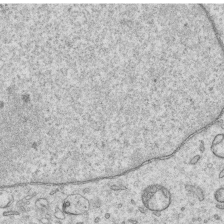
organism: Human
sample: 1205lu cells